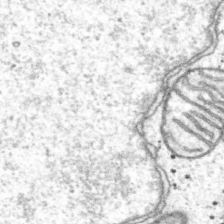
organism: Human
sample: HeLa cells